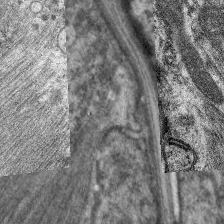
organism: C. elegans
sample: Pharynx